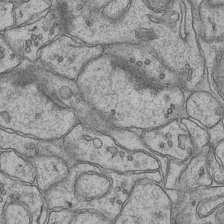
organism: Mouse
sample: CA1 Hippocampus